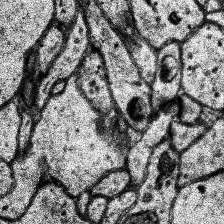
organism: Human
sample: Temporal Lobe